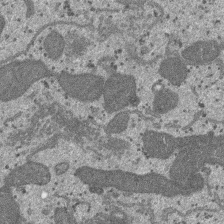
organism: Human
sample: Lung epithelial cells infected with SARS-CoV-2